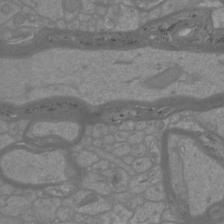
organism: Mouse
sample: Cortical neurons